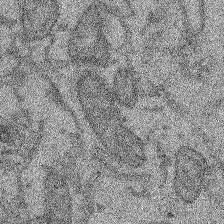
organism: Human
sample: HeLa cells